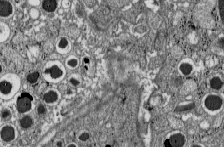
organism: C57BL Mouse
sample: Pancreatic islet